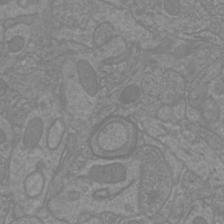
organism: Mouse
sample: Cortical neurons